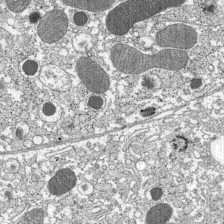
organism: C57BL Mouse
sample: Pancreatic islet